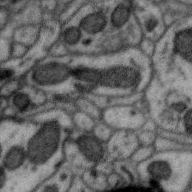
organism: Zebra finch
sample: Brain